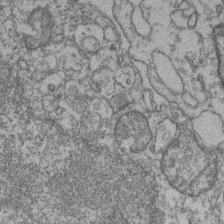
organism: Mouse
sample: T cell stromal cell synapse